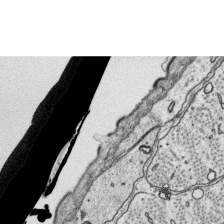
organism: Platynereis dumerilii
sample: Parapodia